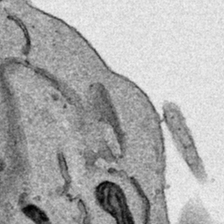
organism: Human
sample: Mitochondria in HCT116 cells